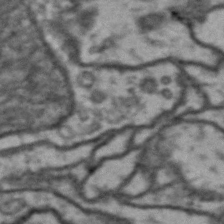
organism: Drosophila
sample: Brain